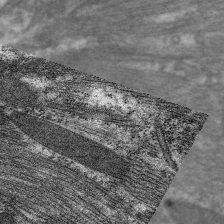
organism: C. elegans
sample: Pharynx